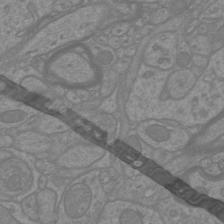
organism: Mouse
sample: Cortical neurons